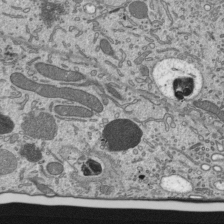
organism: Mouse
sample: Mouse epididymis efferent ductule cilia